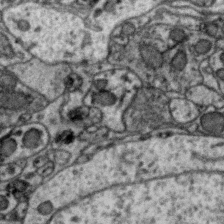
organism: Zebra finch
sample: Brain